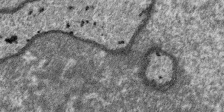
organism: Human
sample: Lung epithelial cells, uninfected (mock) control